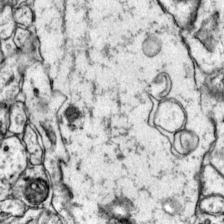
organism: Mouse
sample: Primary visual cortex